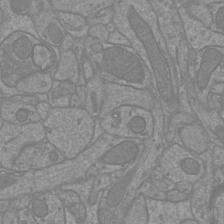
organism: Mouse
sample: Cortical neurons